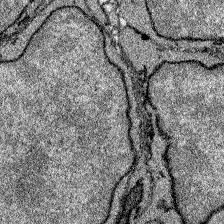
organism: Zebrafish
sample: Larval olfactory bulb